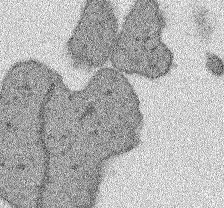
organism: Human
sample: HeLa cells